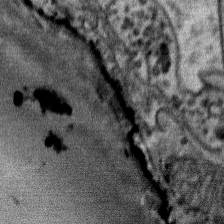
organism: Mouse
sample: Mouse Salivary gland